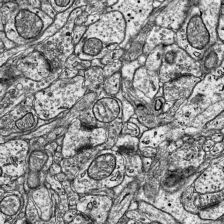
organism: Mouse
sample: Visual Cortex